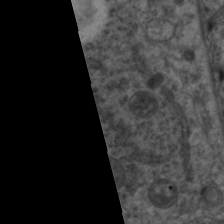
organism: C. elegans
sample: Pharynx